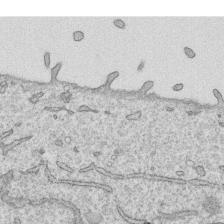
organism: Human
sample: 1205lu cells